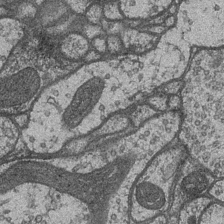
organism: Drosophila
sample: Optic medulla